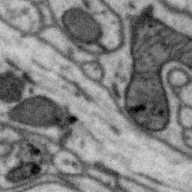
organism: Zebra finch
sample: Brain